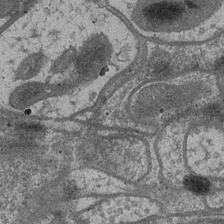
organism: Drosophila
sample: Optic medulla